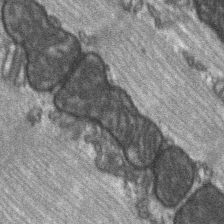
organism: C57BL Mouse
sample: Soleus